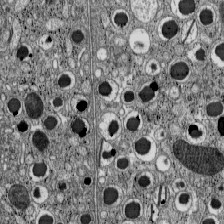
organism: C57BL Mouse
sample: Pancreatic islet